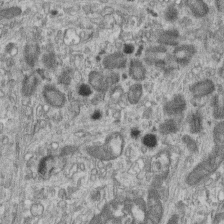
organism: Mouse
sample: Centriole in ependymal cells